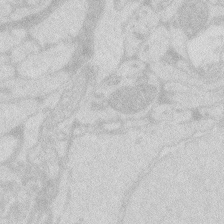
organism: Zebrafish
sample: Macrophage